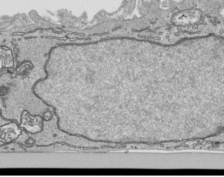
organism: Human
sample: Mitochondria in HCT116 cells